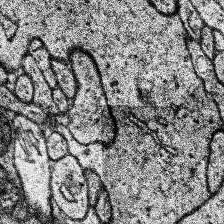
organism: Human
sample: Temporal Lobe